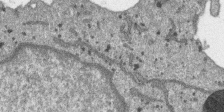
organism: Human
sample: Lung epithelial cells infected with SARS-CoV-2